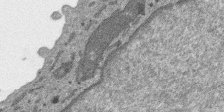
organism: Human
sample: Lung epithelial cells infected with SARS-CoV-2